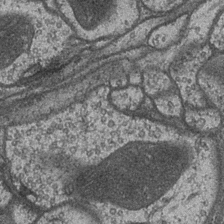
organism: Drosophila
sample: Optic medulla